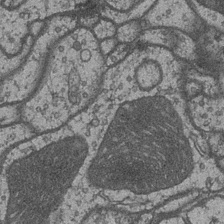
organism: Drosophila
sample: Optic medulla